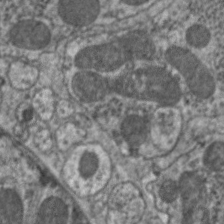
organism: C. elegans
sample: Pharynx